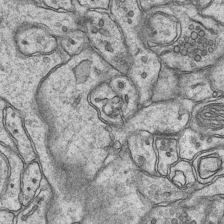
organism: Mouse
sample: CA1 Hippocampus